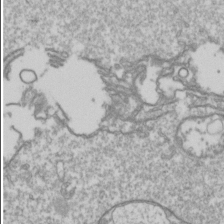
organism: Drosophila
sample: Cell division; meiosis; drosophila spermatocytes